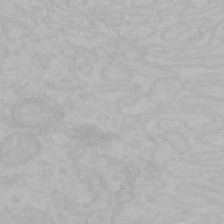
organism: Mouse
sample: Choroid plexus